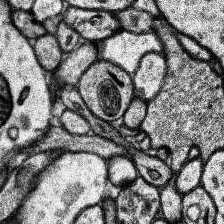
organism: Human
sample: Temporal Lobe